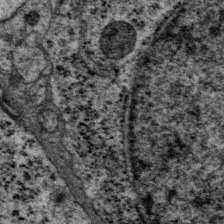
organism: P. pacificus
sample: Pharynx